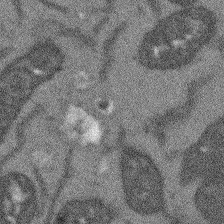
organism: Arabidopsis thaliana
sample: Root tip